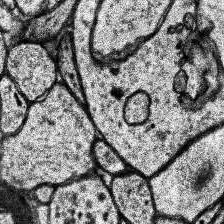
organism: Human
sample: Temporal Lobe